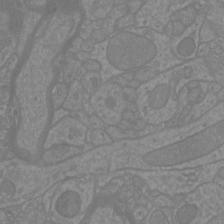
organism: Mouse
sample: Cortical neurons